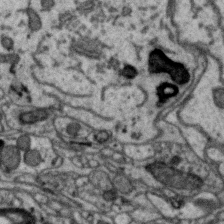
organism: Zebra finch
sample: Brain